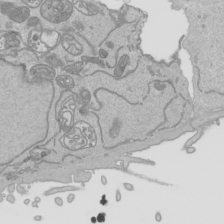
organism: Human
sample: Mitochondria in HCT116 cells